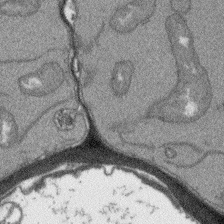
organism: Arabidopsis thaliana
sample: Root tip